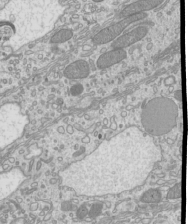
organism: Mouse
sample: Cilia; mouse epididymis